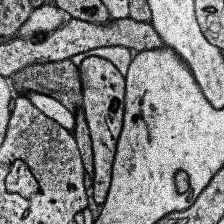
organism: Human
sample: Temporal Lobe